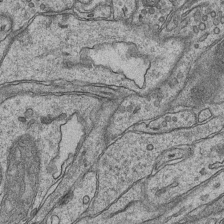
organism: Mouse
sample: CA1 Hippocampus